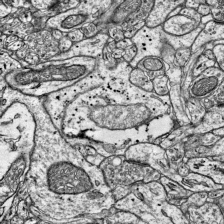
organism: Mouse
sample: Visual Cortex